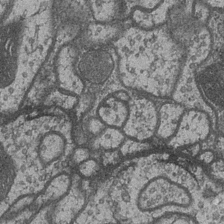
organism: Drosophila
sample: Optic medulla